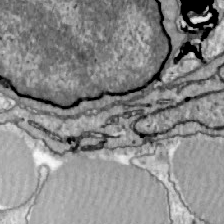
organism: Zebrafish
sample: Actinotrichia fibers